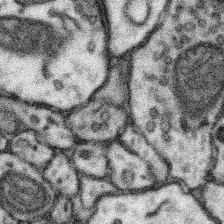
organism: Mouse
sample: Somatosensory cortex neuropil